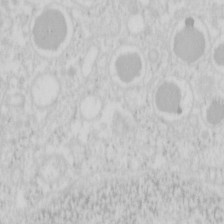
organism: Mouse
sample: Pancreas